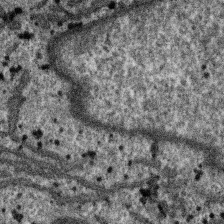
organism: Human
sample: Lung epithelial cells infected with SARS-CoV-2